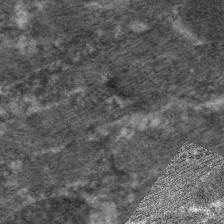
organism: C. elegans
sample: Pharynx